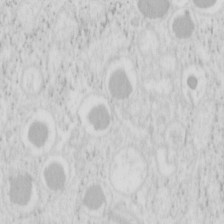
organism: Mouse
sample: Pancreas